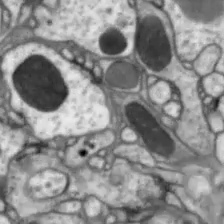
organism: Drosophila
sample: Optic lobe